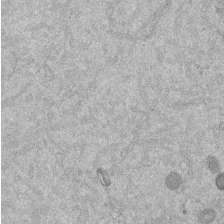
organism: Mouse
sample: Dividing mouse embryo 1 cell stage